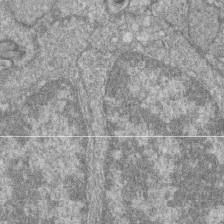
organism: Zebrafish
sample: Cilia; retinal pigment epithelium